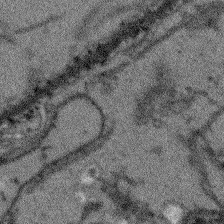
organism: Arabidopsis thaliana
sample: Root tip